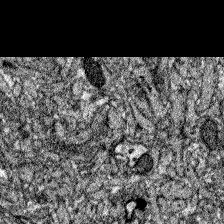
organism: Zebrafish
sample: Larval olfactory bulb